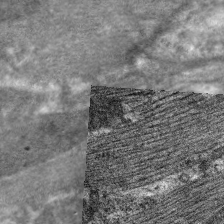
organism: C. elegans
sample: Pharynx